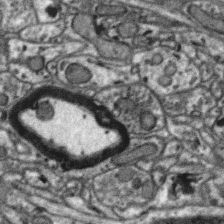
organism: Zebra finch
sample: Brain